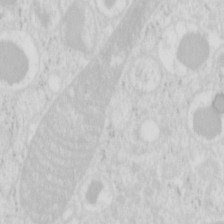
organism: Mouse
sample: Pancreas